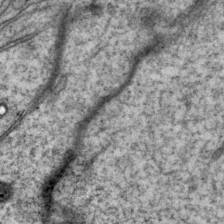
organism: P. pacificus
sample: Pharynx